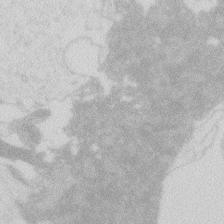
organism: Zebrafish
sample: Macrophage